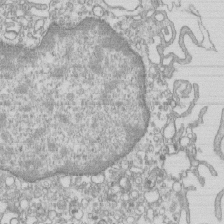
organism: Mouse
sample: Macrophages